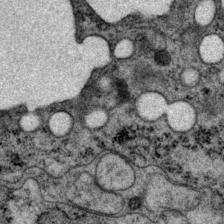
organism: P. pacificus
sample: Pharynx